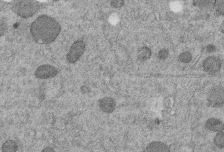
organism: C. elegans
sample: C. elegans embryo early stage